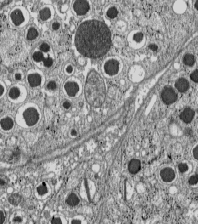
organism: C57BL Mouse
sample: Pancreatic islet